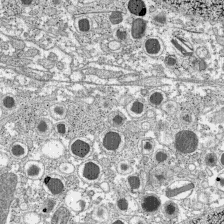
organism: C57BL Mouse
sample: Pancreatic islet